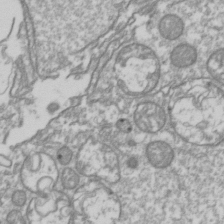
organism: Drosophila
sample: Cell division; meiosis; drosophila spermatocytes